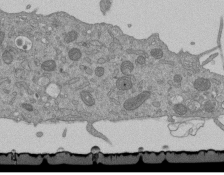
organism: Mouse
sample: ED-1 cell nuclei; centrioles